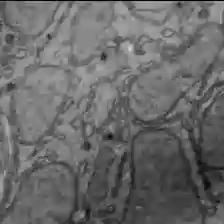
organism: C57BL Mouse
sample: Liver